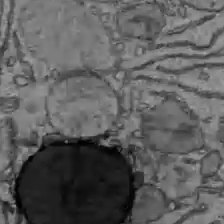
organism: C57BL Mouse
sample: Liver